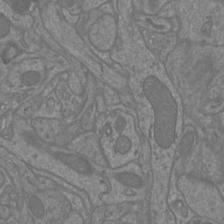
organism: Mouse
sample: Cortical neurons